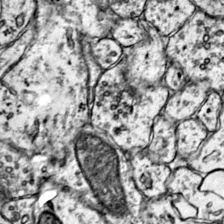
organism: Mouse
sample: Primary visual cortex